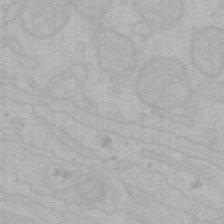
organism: Mouse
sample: Choroid plexus